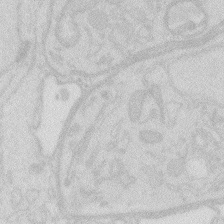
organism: Zebrafish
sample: Macrophage